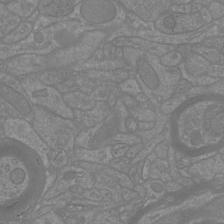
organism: Mouse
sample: Cortical neurons